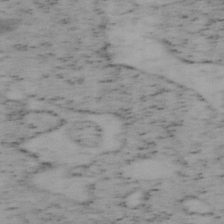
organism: Mouse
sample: OT-I killer T cells with ID8 ovarian cancer cells